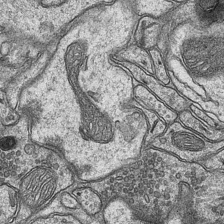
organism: Mouse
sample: CA1 Hippocampus